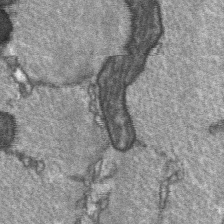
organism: C57BL Mouse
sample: Soleus